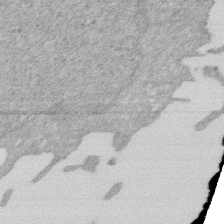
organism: Human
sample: HIV infected U937 cells